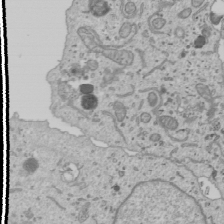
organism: Human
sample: Mitochondria in U2OS cells